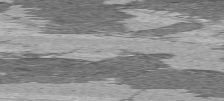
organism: C57BL Mouse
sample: Heart